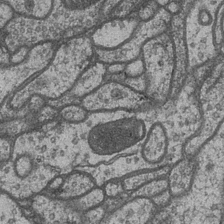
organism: Drosophila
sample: Optic medulla